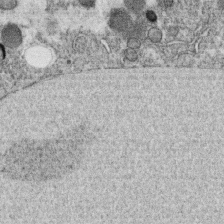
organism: C. elegans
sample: C. elegans oocyte; sperm cells